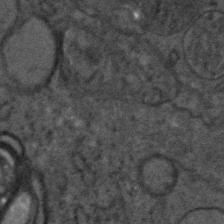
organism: C. elegans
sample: C. elegans embryo